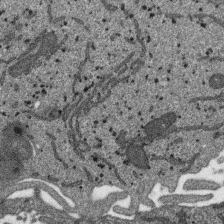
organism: Human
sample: Lung epithelial cells infected with SARS-CoV-2